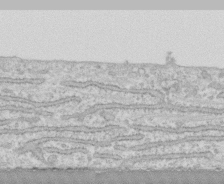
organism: Human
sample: CRL-1474